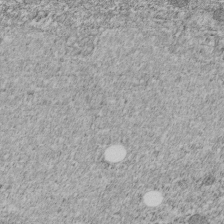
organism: C. elegans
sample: C. elegans embryo early stage